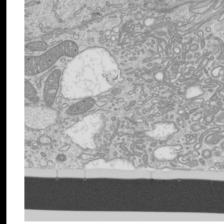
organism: Mouse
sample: Cilia; mouse epididymis